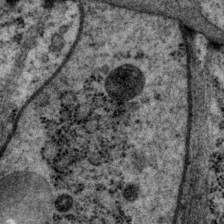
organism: P. pacificus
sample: Pharynx